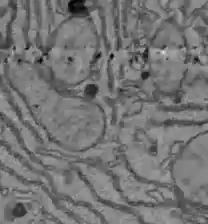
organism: C57BL Mouse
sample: Liver